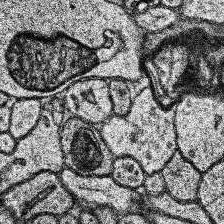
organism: Human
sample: Temporal Lobe